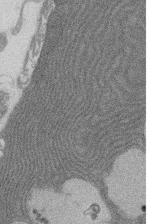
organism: Rat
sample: Salivary granule